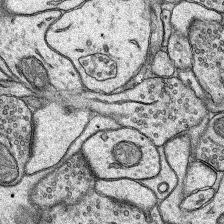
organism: Rat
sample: Hippocampus